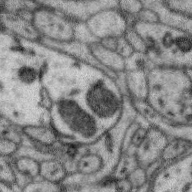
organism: Zebra finch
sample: Brain